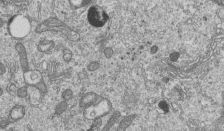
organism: Human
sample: MDA-MB-231 cells